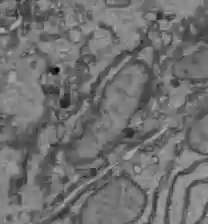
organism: C57BL Mouse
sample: Liver